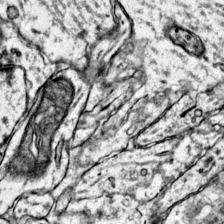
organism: Mouse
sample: Primary visual cortex